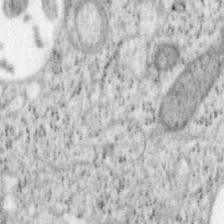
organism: Mouse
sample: OT-I killer T cells with ID8 ovarian cancer cells